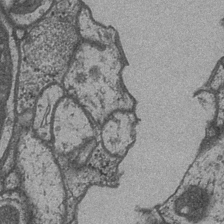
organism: Drosophila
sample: Optic medulla